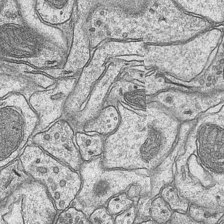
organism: Mouse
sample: CA1 Hippocampus